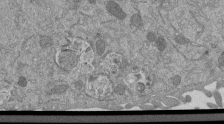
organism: Mouse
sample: ED-1 cell nuclei; centrioles